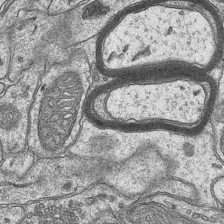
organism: Mouse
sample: CA1 Hippocampus